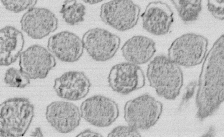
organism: E. coli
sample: Bacterial nucleoid